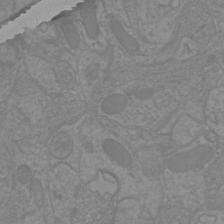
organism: Mouse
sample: Cortical neurons